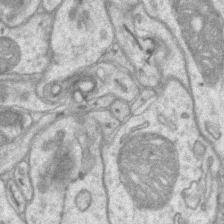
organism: Mouse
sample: CA1 Hippocampus